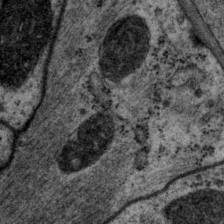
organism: P. pacificus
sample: Pharynx